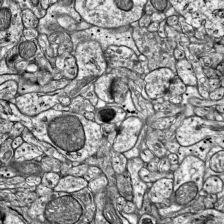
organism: Mouse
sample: Visual Cortex